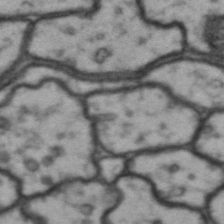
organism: Drosophila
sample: Brain